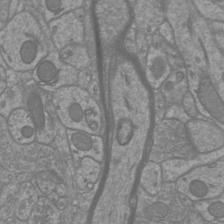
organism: Mouse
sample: Cortical neurons